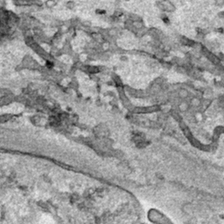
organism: Human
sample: Mitochondria in HCT116 cells